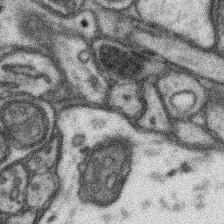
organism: Mouse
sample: Somatosensory cortex neuropil